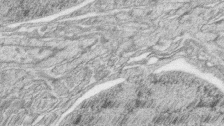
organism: Zebrafish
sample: synaptic ribbons in rod cells and cone cells